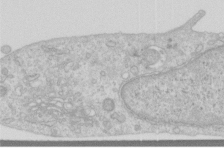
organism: Human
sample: Centriole in RPE cells